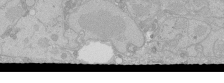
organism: Human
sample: Caco-2 cells